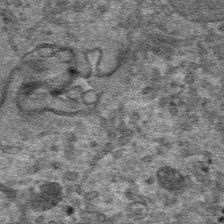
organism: Mouse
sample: Mouse hepatocytes